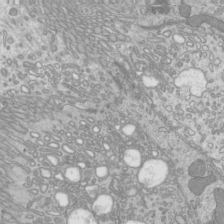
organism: Mouse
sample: Cilia; mouse epididymis